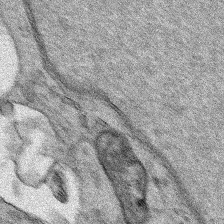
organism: Human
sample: Mitochondria in HCT116 cells